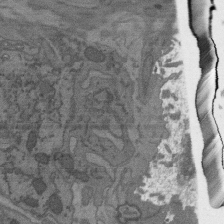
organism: C. elegans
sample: AFD neurons C. elegans